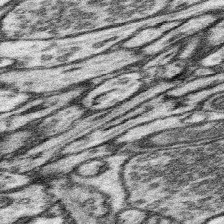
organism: Mouse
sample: Somatosensory cortex neuropil